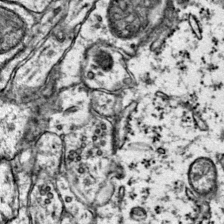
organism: Mouse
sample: Primary visual cortex